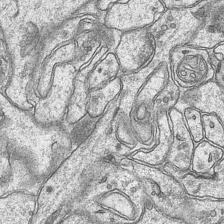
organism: Mouse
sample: CA1 Hippocampus